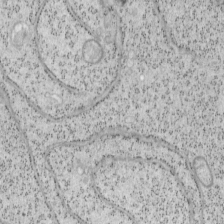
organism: Mouse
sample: OT-I killer T cells with ID8 ovarian cancer cells